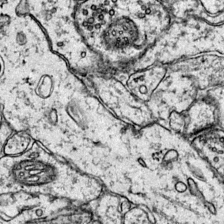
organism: Mouse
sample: Primary visual cortex